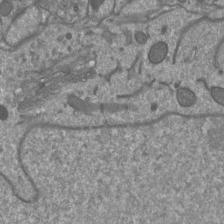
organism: Mouse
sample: Cortical neurons